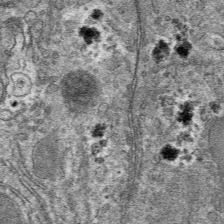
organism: Mouse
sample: Mouse hepatocytes